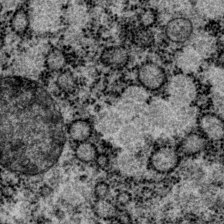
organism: P. pacificus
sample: Pharynx